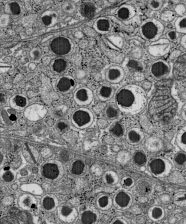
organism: C57BL Mouse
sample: Pancreatic islet